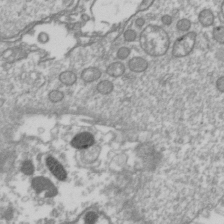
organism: Drosophila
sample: Cell division; meiosis; drosophila spermatocytes